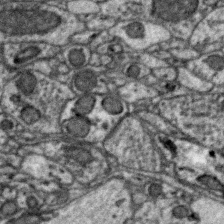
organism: Zebra finch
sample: Brain